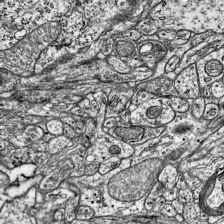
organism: Mouse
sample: Visual Cortex